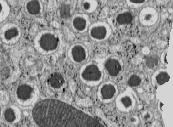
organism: C57BL Mouse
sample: Pancreatic islet